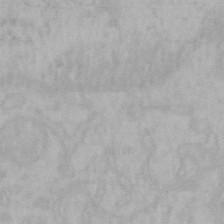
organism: Mouse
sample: Choroid plexus